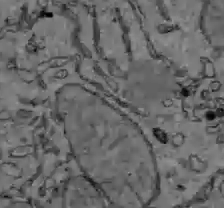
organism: C57BL Mouse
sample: Liver